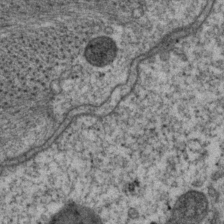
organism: P. pacificus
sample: Pharynx